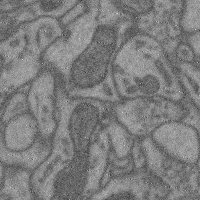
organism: Mouse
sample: Cerebral cortex